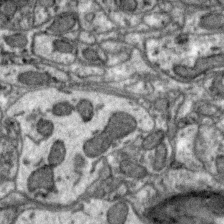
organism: Zebra finch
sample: Brain